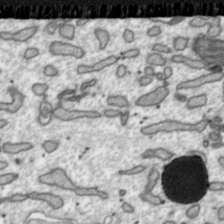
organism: Toxoplasma gondii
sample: Parasites in a vacuole inside a host cell